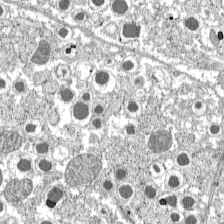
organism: C57BL Mouse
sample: Pancreatic islet